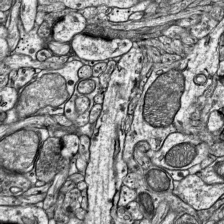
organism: Mouse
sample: Visual Cortex